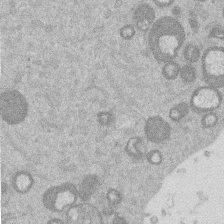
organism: Mouse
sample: Dividing mouse embryo 1 cell stage